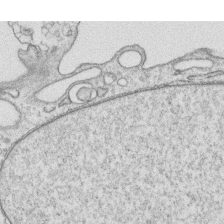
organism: Human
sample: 1205lu cells